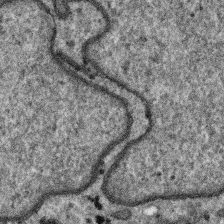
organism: Human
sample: Lung epithelial cells infected with SARS-CoV-2